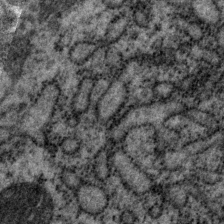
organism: P. pacificus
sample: Pharynx